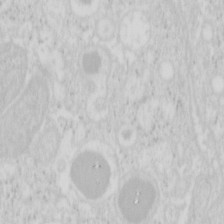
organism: Mouse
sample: Pancreas